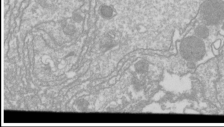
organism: Drosophila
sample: Cell division; meiosis; drosophila spermatocytes